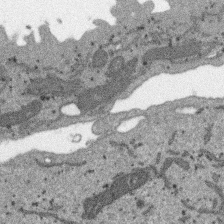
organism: Human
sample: Lung epithelial cells infected with SARS-CoV-2